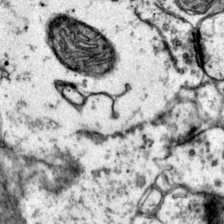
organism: Mouse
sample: Primary visual cortex